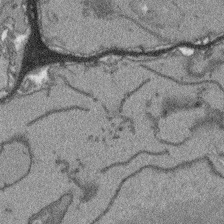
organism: Arabidopsis thaliana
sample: Root tip